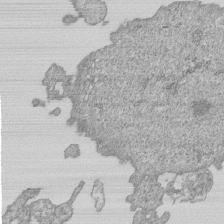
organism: Human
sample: MDA-MB-231 cells